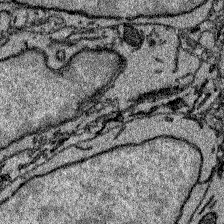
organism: Zebrafish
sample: Larval olfactory bulb